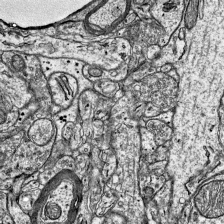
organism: Mouse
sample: Visual Cortex